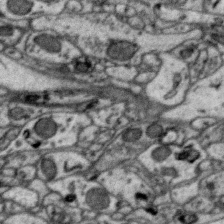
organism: Zebra finch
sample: Brain